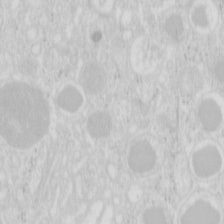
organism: Mouse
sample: Pancreas